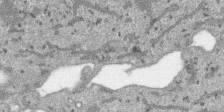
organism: Human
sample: Lung epithelial cells infected with SARS-CoV-2